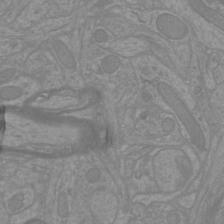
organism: Mouse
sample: Cortical neurons